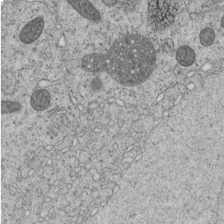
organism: C. elegans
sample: C. elegans embryo early stage